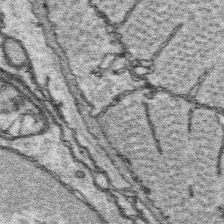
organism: Platynereis dumerilii